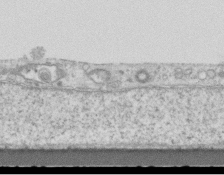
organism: Mouse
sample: Centriole in ependymal cells